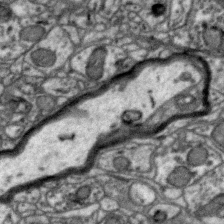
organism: Zebra finch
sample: Brain